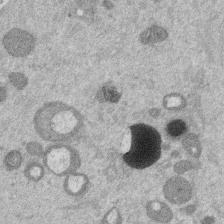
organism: Mouse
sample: Dividing mouse embryo 1 cell stage